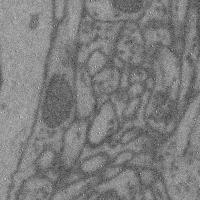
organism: Mouse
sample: Cerebral cortex